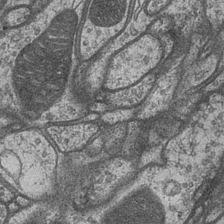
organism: Drosophila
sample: Optic medulla